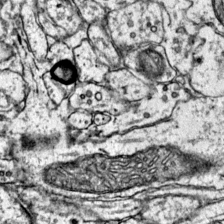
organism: Mouse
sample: Primary visual cortex